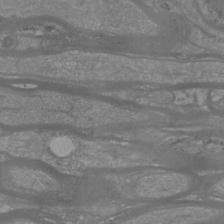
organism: Mouse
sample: Cortical neurons